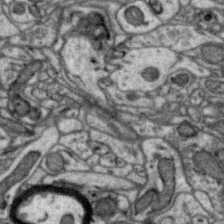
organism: Zebra finch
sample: Brain